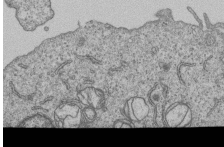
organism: Human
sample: MDA-MB-231 cells